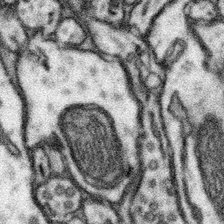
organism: Mouse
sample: Somatosensory cortex neuropil